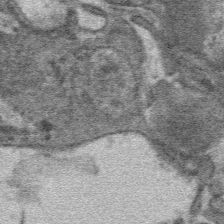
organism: Mouse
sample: Mouse hepatocytes